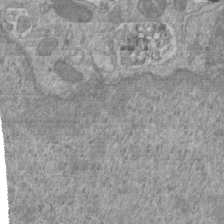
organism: Mouse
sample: ED-1 cell nuclei; centrioles